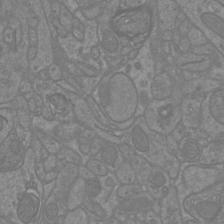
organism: Mouse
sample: Cortical neurons